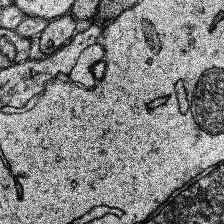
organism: Human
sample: Temporal Lobe